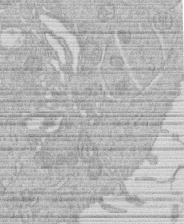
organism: Human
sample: Macrophage cells